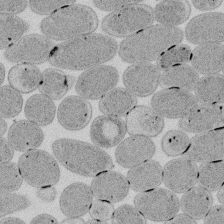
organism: E. coli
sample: Bacterial nucleoid